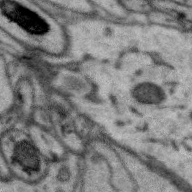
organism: Zebra finch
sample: Brain